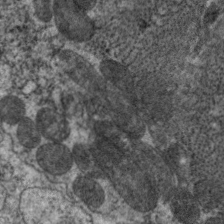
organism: C. elegans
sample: Pharynx